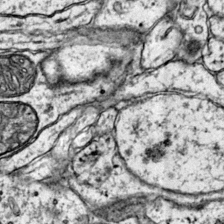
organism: Mouse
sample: Primary visual cortex